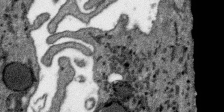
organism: Human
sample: Lung epithelial cells, uninfected (mock) control